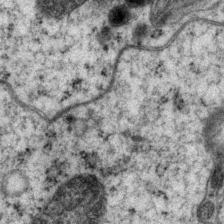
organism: P. pacificus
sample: Pharynx